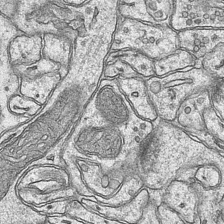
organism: Mouse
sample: CA1 Hippocampus